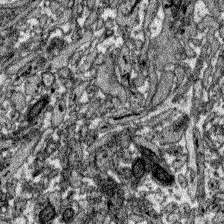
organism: Zebrafish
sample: Larval olfactory bulb